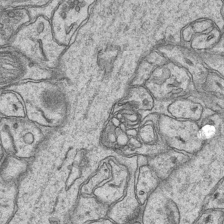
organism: Mouse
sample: CA1 Hippocampus